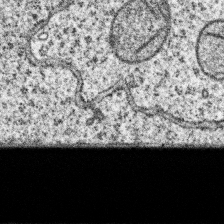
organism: Human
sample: HeLa cells